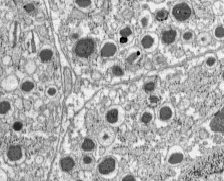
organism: C57BL Mouse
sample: Pancreatic islet